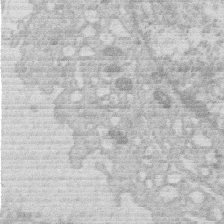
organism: Human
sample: Macrophage cells